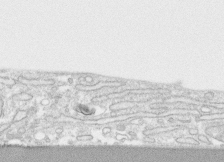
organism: Human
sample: CRL-1474